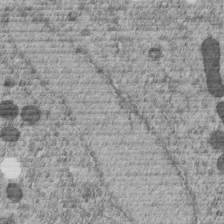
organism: C. elegans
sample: C. elegans embryo early stage